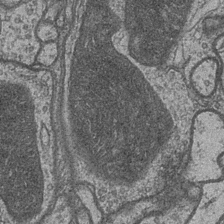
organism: Drosophila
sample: Optic medulla